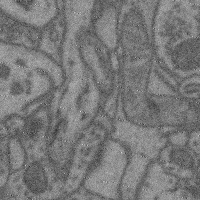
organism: Mouse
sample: Cerebral cortex